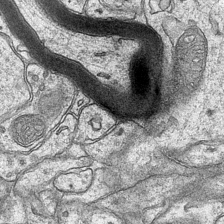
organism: Mouse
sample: CA1 Hippocampus